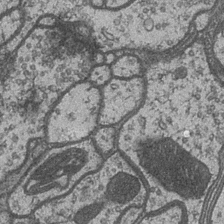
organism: Drosophila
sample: Optic medulla